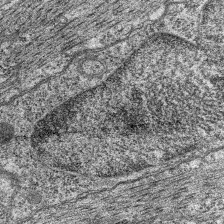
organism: C. elegans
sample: Pharynx